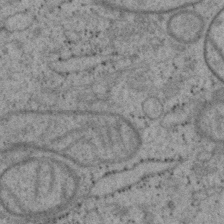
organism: Human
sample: HeLa cells